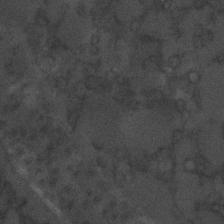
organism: C. elegans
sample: C. elegans embryo